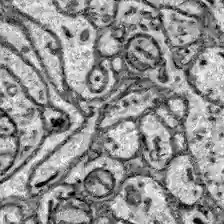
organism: Zebrafish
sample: Brain